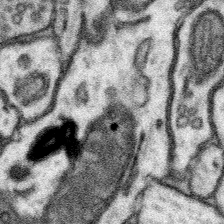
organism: Mouse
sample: Somatosensory cortex neuropil